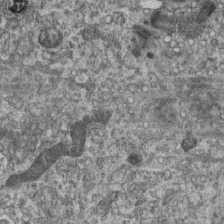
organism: Mouse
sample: Centriole in ependymal cells